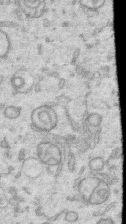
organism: Human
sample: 1205lu cells